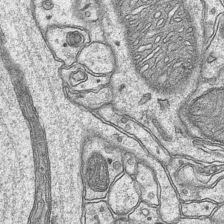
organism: Mouse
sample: CA1 Hippocampus